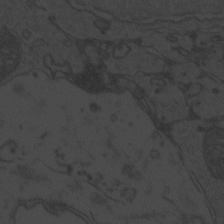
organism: Zebrafish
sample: Macrophage infected with Toxoplasma gondii